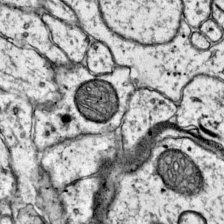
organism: Mouse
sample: Primary visual cortex